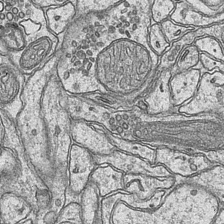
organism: Mouse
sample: CA1 Hippocampus